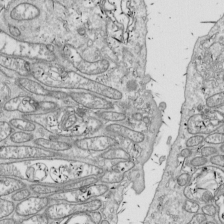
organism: Drosophila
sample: Cell division; meiosis; drosophila spermatocytes